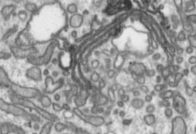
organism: Toxoplasma gondii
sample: Parasites in a vacuole inside a host cell